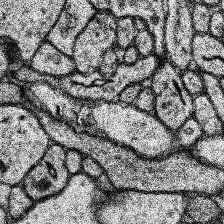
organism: Human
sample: Temporal Lobe